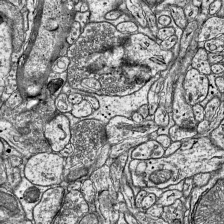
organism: Mouse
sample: Visual Cortex